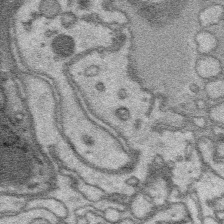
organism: Platynereis dumerilii